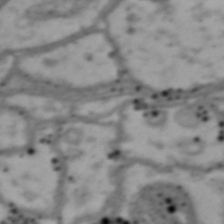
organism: Drosophila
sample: Brain